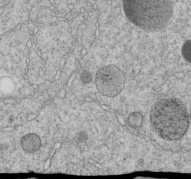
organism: C. elegans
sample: C. elegans embryo early stage